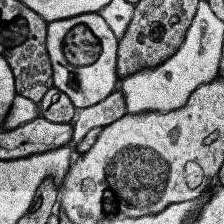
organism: Human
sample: Temporal Lobe